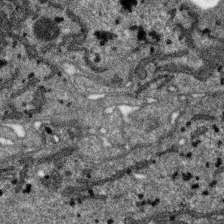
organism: Human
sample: Lung epithelial cells infected with SARS-CoV-2